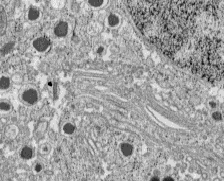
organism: C57BL Mouse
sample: Pancreatic islet